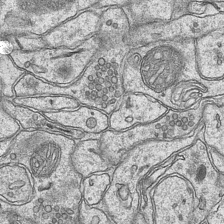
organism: Mouse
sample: CA1 Hippocampus